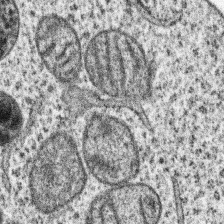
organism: Human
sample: HeLa cells